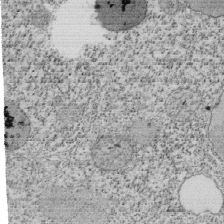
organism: Tetrahymena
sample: Cilia in tetrahymena